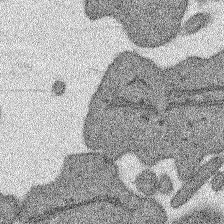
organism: Human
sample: HeLa cells